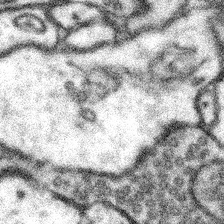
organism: Mouse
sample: Somatosensory cortex neuropil